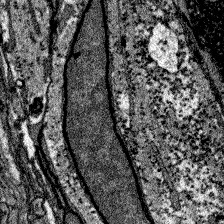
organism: Zebrafish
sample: Larval olfactory bulb